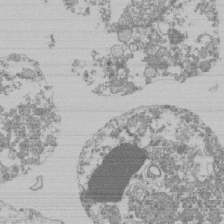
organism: Mouse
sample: Activated Pmel transgenic CD8+ T Cells